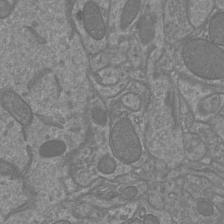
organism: Mouse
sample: Cortical neurons